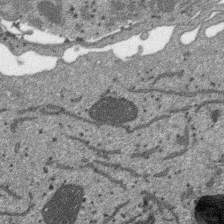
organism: Human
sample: Lung epithelial cells infected with SARS-CoV-2